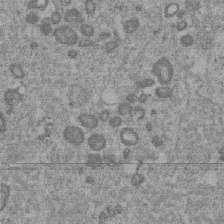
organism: Mouse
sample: Dividing mouse embryo 1 cell stage